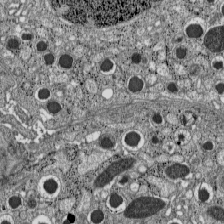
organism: C57BL Mouse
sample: Pancreatic islet